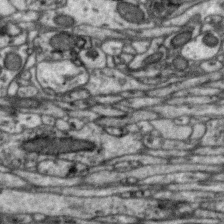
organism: Zebra finch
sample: Brain